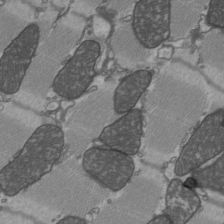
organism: C57BL Mouse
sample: Heart